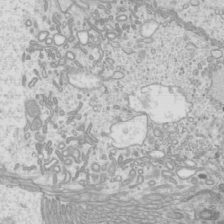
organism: Mouse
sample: Cilia; mouse epididymis